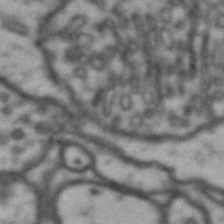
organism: Drosophila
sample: Brain